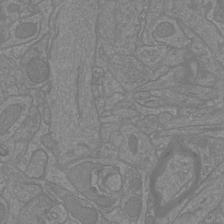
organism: Mouse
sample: Cortical neurons